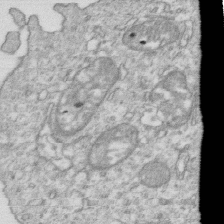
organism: Mouse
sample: Activated OT-1 CD8+ T cells